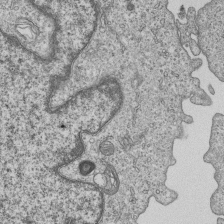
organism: Human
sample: MDA-MB-231 cells